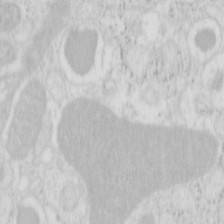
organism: Mouse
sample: Pancreas